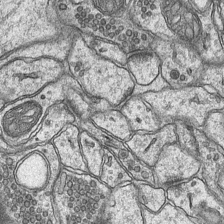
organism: Mouse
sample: CA1 Hippocampus